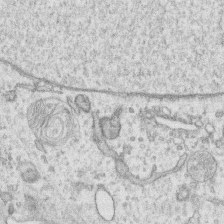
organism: Human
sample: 1205lu cells